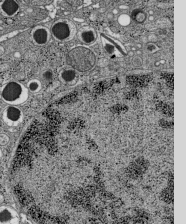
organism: C57BL Mouse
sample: Pancreatic islet